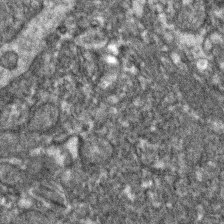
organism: Zebrafish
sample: Zebrafish embryo